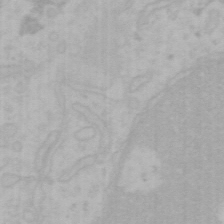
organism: Mouse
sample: Choroid plexus